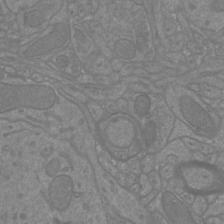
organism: Mouse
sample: Cortical neurons